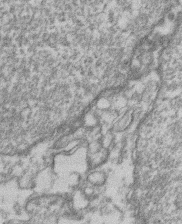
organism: Mouse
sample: T cell stromal cell synapse